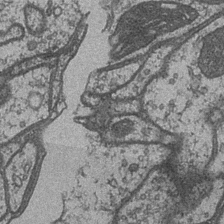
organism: Drosophila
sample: Optic medulla